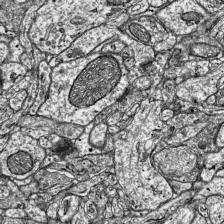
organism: Mouse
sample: Visual Cortex